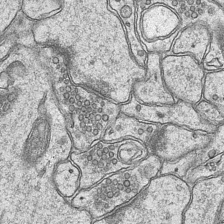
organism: Mouse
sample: CA1 Hippocampus